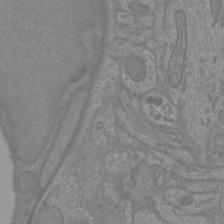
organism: Mouse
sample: Cortical neurons